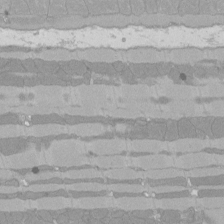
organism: Rat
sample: Left ventricle